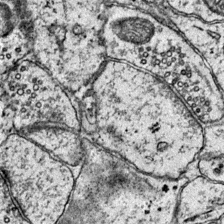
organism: Mouse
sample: Primary visual cortex